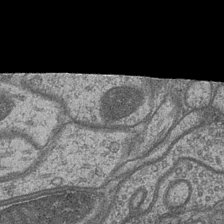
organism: Drosophila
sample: Optic medulla